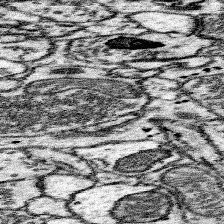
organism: Mouse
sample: Somatosensory cortex neuropil